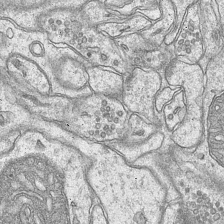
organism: Mouse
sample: CA1 Hippocampus